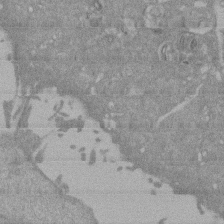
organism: Mouse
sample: ED-1 cell nuclei; centrioles